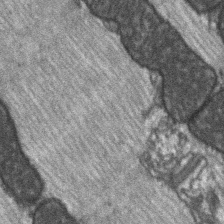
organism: C57BL Mouse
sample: Soleus